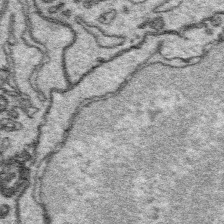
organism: Platynereis dumerilii